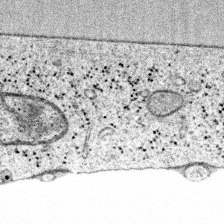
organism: Human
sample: HeLa cells